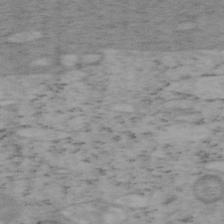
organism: Mouse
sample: OT-I killer T cells with ID8 ovarian cancer cells